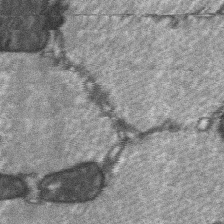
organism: C57BL Mouse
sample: Soleus